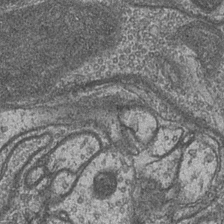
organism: Drosophila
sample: Optic medulla